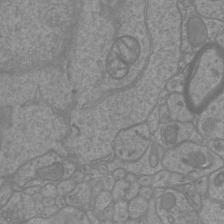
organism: Mouse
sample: Cortical neurons